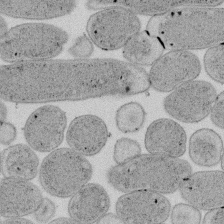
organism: E. coli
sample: Bacterial nucleoid